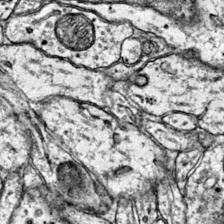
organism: Mouse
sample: Primary visual cortex